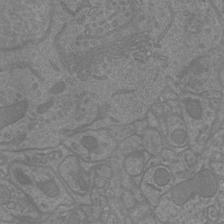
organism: Mouse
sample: Cortical neurons